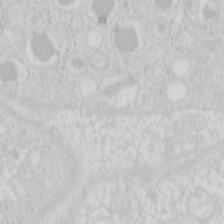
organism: Mouse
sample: Pancreas